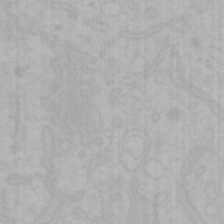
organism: Mouse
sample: Choroid plexus